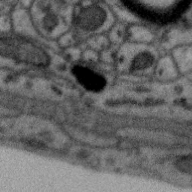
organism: Zebra finch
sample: Brain